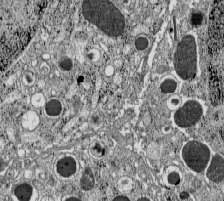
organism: C57BL Mouse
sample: Pancreatic islet